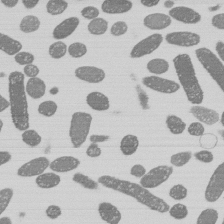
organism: E. coli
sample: Bacterial nucleoid